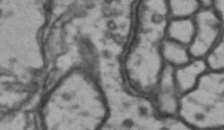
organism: Drosophila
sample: Brain